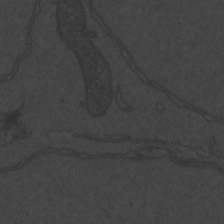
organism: Zebrafish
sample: Macrophage infected with Toxoplasma gondii